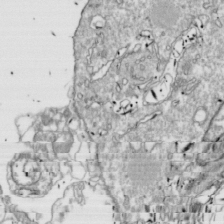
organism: Drosophila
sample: Cell division; meiosis; drosophila spermatocytes